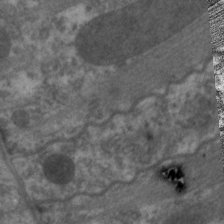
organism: C. elegans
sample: Pharynx